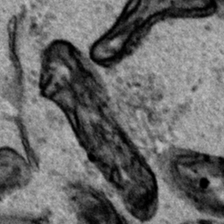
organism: Human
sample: Mitochondria in HCT116 cells